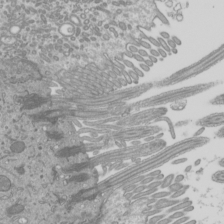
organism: Mouse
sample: Cilia; mouse epididymis